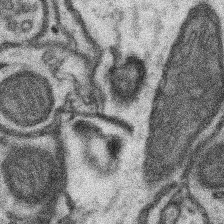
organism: Mouse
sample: Somatosensory cortex neuropil